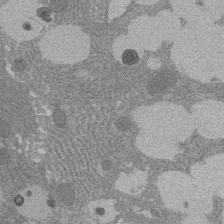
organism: Rat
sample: Salivary granule